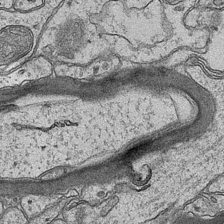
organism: Mouse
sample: CA1 Hippocampus